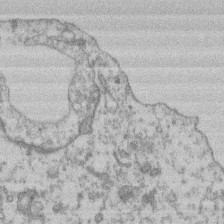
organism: Mouse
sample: T cell stromal cell synapse